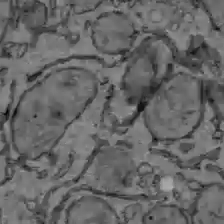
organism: C57BL Mouse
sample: Liver